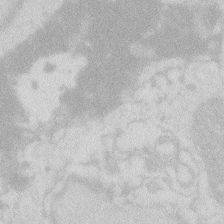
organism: Zebrafish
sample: Macrophage